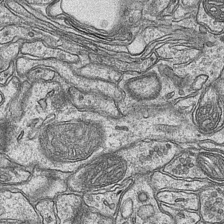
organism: Mouse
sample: CA1 Hippocampus